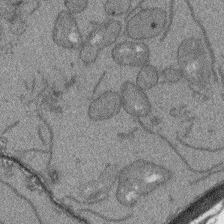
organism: Arabidopsis thaliana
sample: Root tip